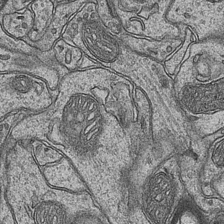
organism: Mouse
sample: CA1 Hippocampus